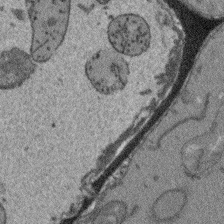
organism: Arabidopsis thaliana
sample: Root tip